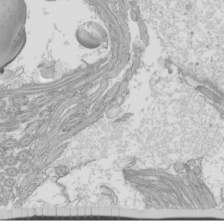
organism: Mouse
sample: Cilia; mouse epididymis